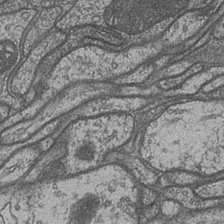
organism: Drosophila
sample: Optic medulla